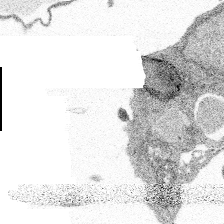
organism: Spongilla lacustris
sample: Multiple